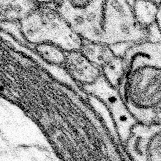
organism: Mouse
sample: Somatosensory cortex neuropil